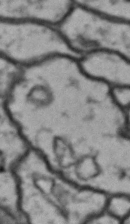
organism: Drosophila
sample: Brain